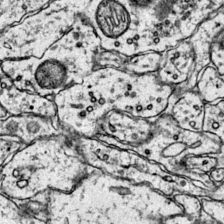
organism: Mouse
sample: Primary visual cortex